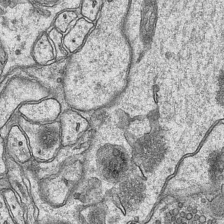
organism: Mouse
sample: CA1 Hippocampus